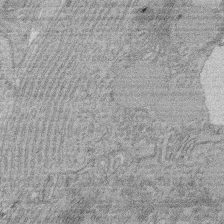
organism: Rat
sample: Salivary granule